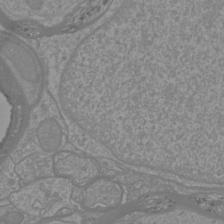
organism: Mouse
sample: Cortical neurons